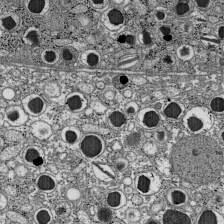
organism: C57BL Mouse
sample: Pancreatic islet